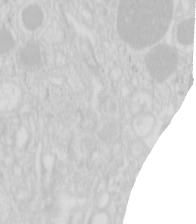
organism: Mouse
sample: Pancreas